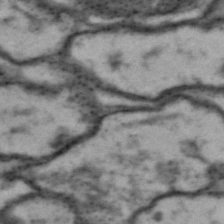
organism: Drosophila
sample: Brain